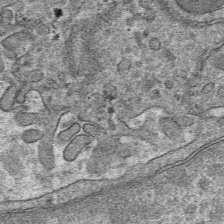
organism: Mouse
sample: Mouse hepatocytes